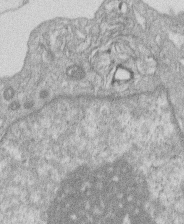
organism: Human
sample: Macrophage cells